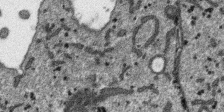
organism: Human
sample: Lung epithelial cells infected with SARS-CoV-2